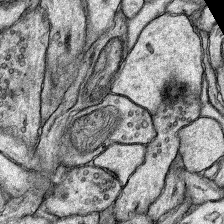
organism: Rat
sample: Hippocampus